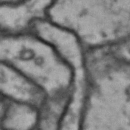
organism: Drosophila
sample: Brain